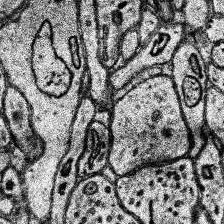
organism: Human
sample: Temporal Lobe